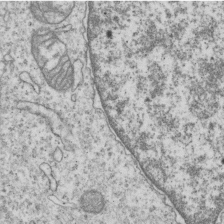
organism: Human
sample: MDA-MB-231 cells